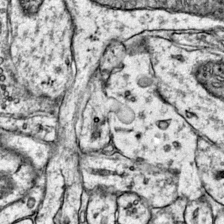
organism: Mouse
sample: Primary visual cortex